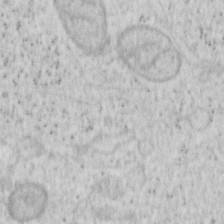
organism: Human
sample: HeLa cells